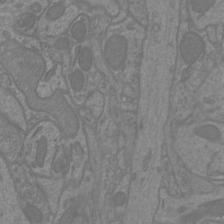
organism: Mouse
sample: Cortical neurons